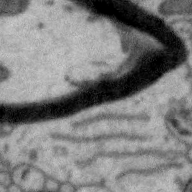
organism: Zebra finch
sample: Brain